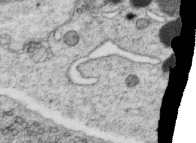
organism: C. elegans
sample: C. elegans oocyte; sperm cells